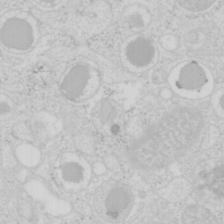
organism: Mouse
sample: Pancreas